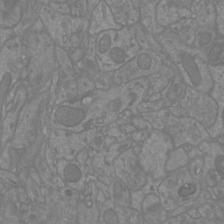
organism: Mouse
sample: Cortical neurons